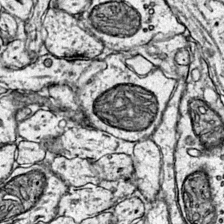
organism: Mouse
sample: Primary visual cortex